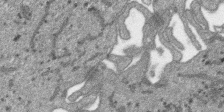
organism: Human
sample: Lung epithelial cells infected with SARS-CoV-2